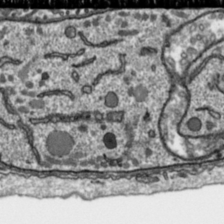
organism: Toxoplasma gondii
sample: Parasites in a vacuole inside a host cell